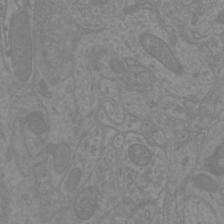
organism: Mouse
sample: Cortical neurons